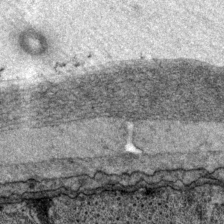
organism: P. pacificus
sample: Pharynx